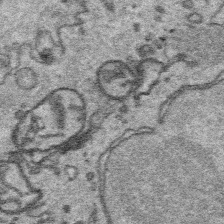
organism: Platynereis dumerilii